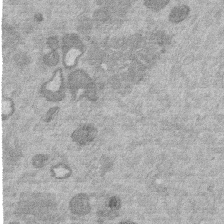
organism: Mouse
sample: Dividing mouse embryo 1 cell stage